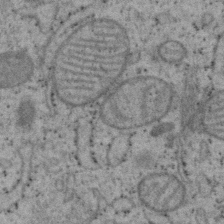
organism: Human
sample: HeLa cells